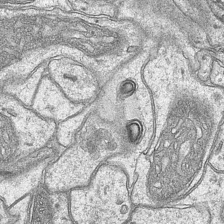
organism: Mouse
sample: CA1 Hippocampus